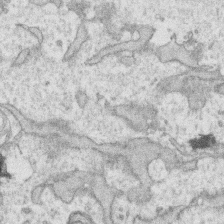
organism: Human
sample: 1205lu cells